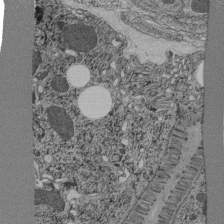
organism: C. elegans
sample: C. elegans pharynx